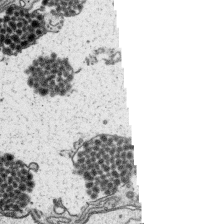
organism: Platynereis dumerilii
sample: Parapodia